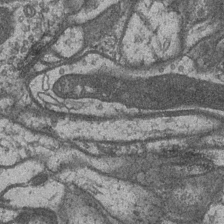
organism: Drosophila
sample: Optic medulla